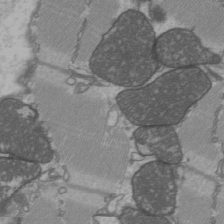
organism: C57BL Mouse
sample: Heart